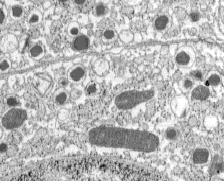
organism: C57BL Mouse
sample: Pancreatic islet